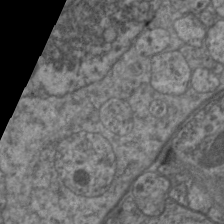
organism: C. elegans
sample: Pharynx